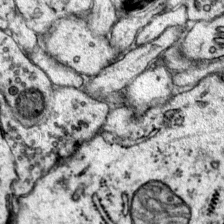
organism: Mouse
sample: Primary visual cortex